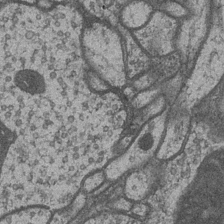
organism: Drosophila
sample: Optic medulla